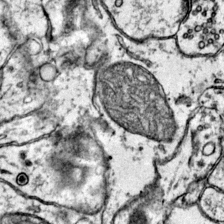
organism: Mouse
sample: Primary visual cortex